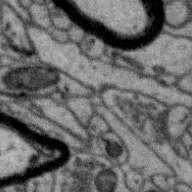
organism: Zebra finch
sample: Brain